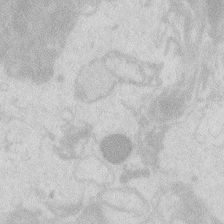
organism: Zebrafish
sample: Macrophage